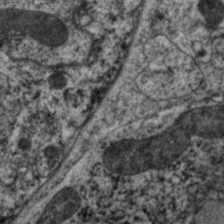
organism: C. elegans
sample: Pharynx